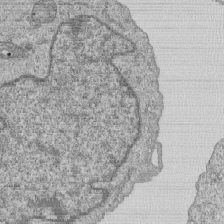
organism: Human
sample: MDA-MB-231 cells